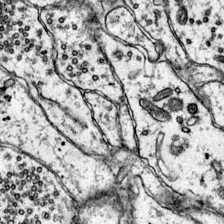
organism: Mouse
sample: Primary visual cortex